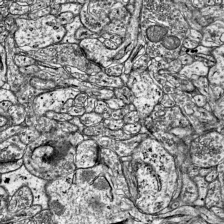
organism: Mouse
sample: Visual Cortex